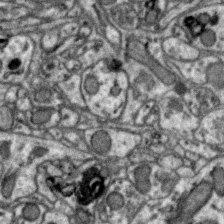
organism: Zebra finch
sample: Brain